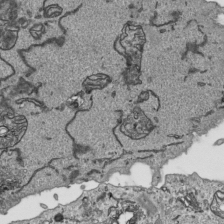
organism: Human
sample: Mitochondria in HCT116 cells